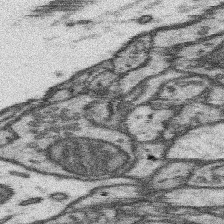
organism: Mouse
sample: Somatosensory cortex neuropil